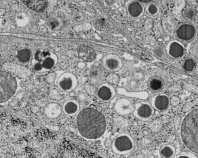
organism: C57BL Mouse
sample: Pancreatic islet